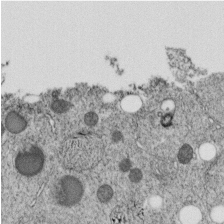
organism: C. elegans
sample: C. elegans embryo early stage